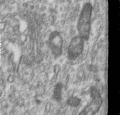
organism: Human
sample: Centriole in RPE cells